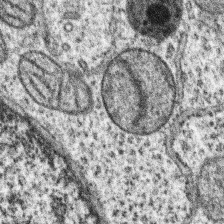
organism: Human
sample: HeLa cells